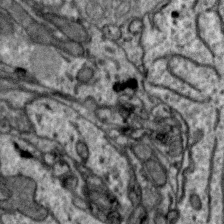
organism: Zebra finch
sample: Brain